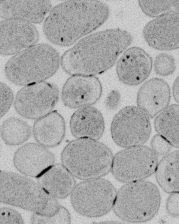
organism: E. coli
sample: Bacterial nucleoid